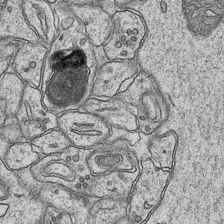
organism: Mouse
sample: CA1 Hippocampus